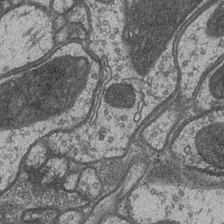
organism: Drosophila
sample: Optic medulla